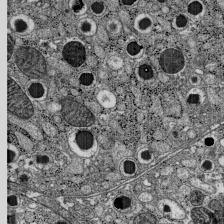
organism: C57BL Mouse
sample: Pancreatic islet